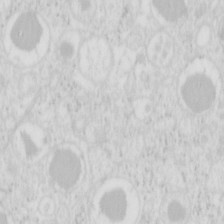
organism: Mouse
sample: Pancreas